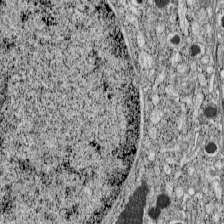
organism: C57BL Mouse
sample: Pancreatic islet